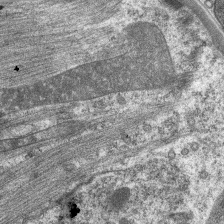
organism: C. elegans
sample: Pharynx